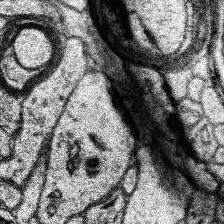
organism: Human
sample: Temporal Lobe